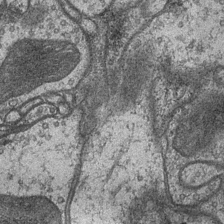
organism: Drosophila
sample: Optic medulla